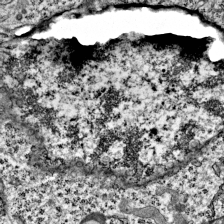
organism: Mouse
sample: Visual Cortex